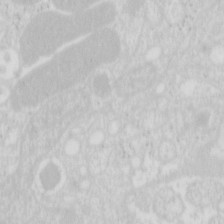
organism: Mouse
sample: Pancreas